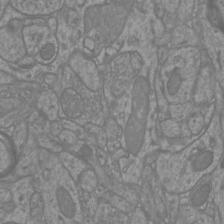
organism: Mouse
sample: Cortical neurons